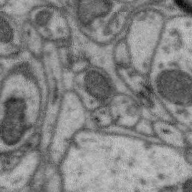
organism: Zebra finch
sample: Brain